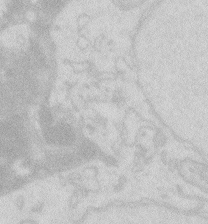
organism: Zebrafish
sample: Macrophage